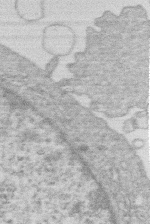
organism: Human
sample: Macrophage cells